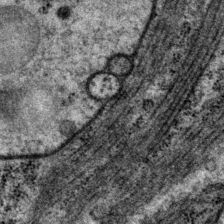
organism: P. pacificus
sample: Pharynx